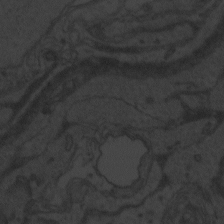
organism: Zebrafish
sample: Macrophage infected with Toxoplasma gondii